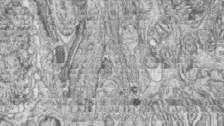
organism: Zebrafish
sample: synaptic ribbons in rod cells and cone cells